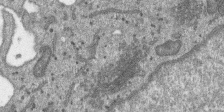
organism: Human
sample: Lung epithelial cells infected with SARS-CoV-2